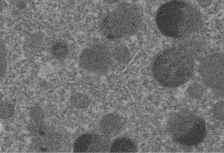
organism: C. elegans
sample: C. elegans embryo early stage